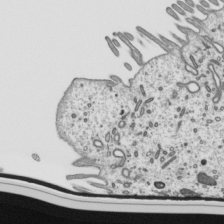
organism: Mouse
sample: Mouse epididymis efferent ductule cilia